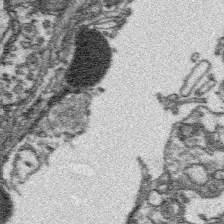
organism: Platynereis dumerilii